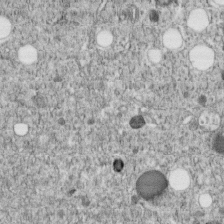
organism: C. elegans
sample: C. elegans embryo early stage